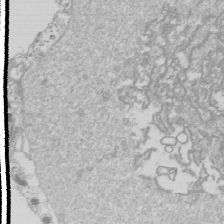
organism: Drosophila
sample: Cell division; meiosis; drosophila spermatocytes